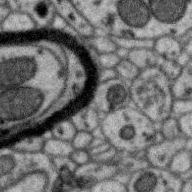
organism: Zebra finch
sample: Brain